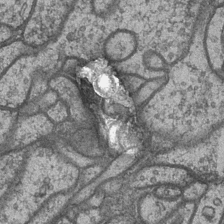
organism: Drosophila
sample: Optic medulla